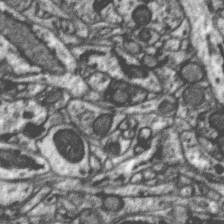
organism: Zebra finch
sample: Brain